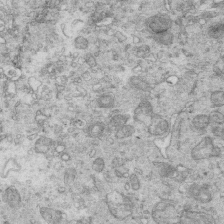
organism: Mouse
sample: Multiciliated cells